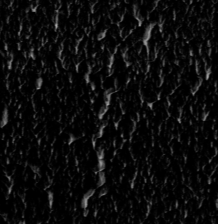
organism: Toxoplasma gondii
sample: Parasites in a vacuole inside a host cell